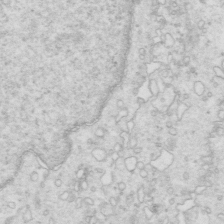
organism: Mouse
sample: Multiciliated cells